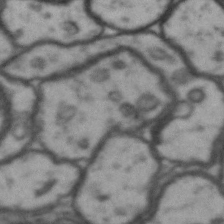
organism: Drosophila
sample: Brain